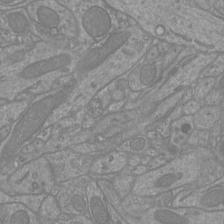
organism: Mouse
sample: Cortical neurons